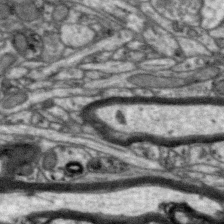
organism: Zebra finch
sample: Brain